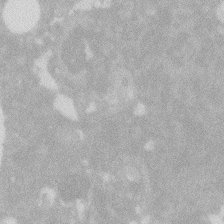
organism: Zebrafish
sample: Macrophage